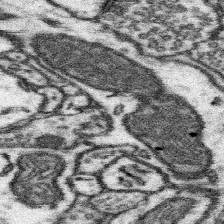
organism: Mouse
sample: Somatosensory cortex neuropil